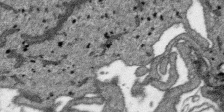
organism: Human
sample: Lung epithelial cells, uninfected (mock) control